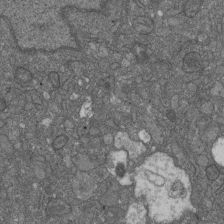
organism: Drosophila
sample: Nephrocyte